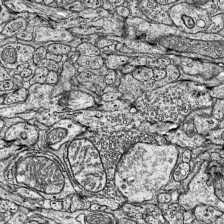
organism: Mouse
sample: Visual Cortex